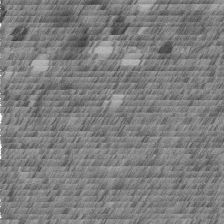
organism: C. elegans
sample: C. elegans embryo early stage